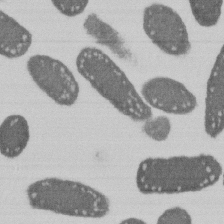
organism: E. coli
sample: Bacterial nucleoid